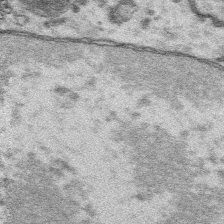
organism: Platynereis dumerilii